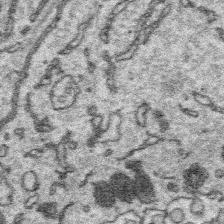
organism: Platynereis dumerilii